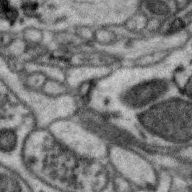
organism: Zebra finch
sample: Brain